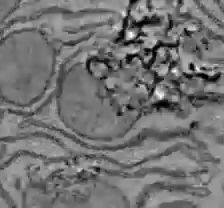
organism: C57BL Mouse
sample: Liver